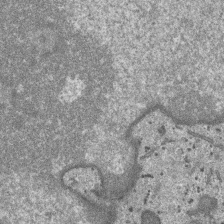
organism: Human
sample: Lung epithelial cells infected with SARS-CoV-2